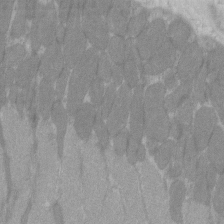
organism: C57BL Mouse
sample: Tibialis anterior muscle cell